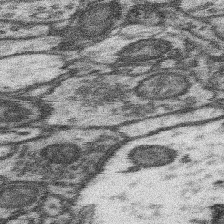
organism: Mouse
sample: Somatosensory cortex neuropil